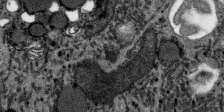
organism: Human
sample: Lung epithelial cells, uninfected (mock) control